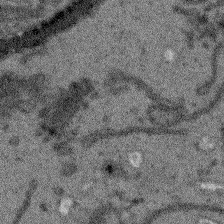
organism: Arabidopsis thaliana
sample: Root tip